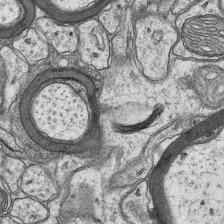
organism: Mouse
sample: CA1 Hippocampus